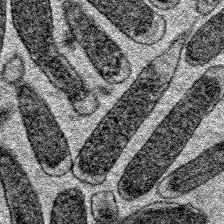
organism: E. coli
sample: E. Coli Bacteria